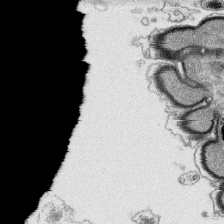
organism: Platynereis dumerilii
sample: Parapodia